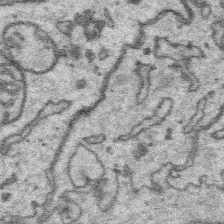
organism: Platynereis dumerilii